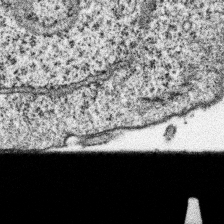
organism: Human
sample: HeLa cells